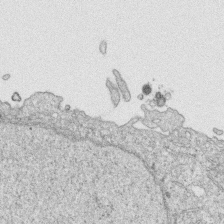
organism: Human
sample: HeLa cell HIV synapse